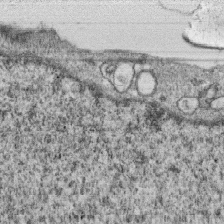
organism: African green monkey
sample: Vero E6 cells infected with SARS-CoV-2